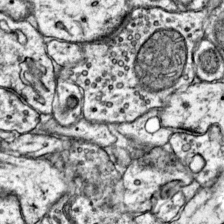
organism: Mouse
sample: Primary visual cortex